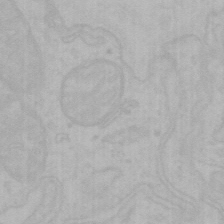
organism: Mouse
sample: Choroid plexus